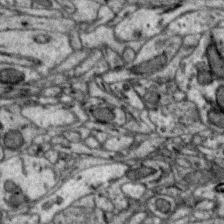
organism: Zebra finch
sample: Brain